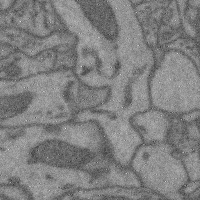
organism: Mouse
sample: Cerebral cortex